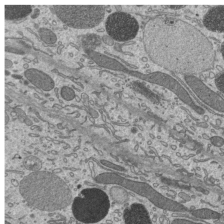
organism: Mouse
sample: Mouse epididymis efferent ductule cilia